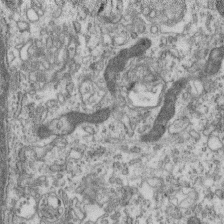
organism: Mouse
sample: Centriole in ependymal cells